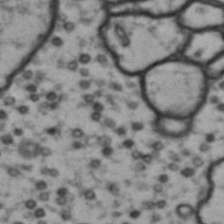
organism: Drosophila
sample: Brain